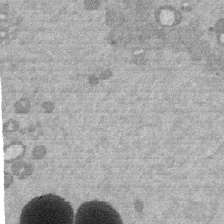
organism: Mouse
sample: Dividing mouse embryo 1 cell stage